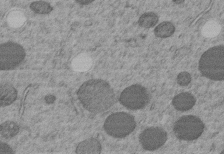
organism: C. elegans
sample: C. elegans embryo early stage